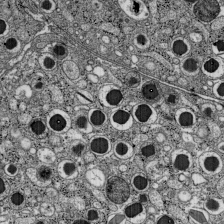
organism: C57BL Mouse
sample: Pancreatic islet